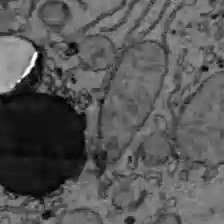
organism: C57BL Mouse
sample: Liver